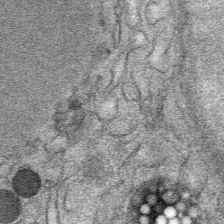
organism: Mouse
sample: Mouse Salivary gland